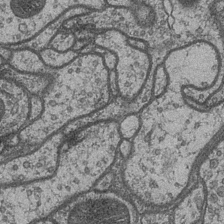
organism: Drosophila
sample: Optic medulla